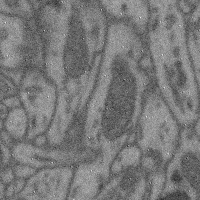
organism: Mouse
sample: Cerebral cortex